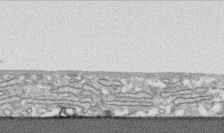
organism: Human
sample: CRL-1474